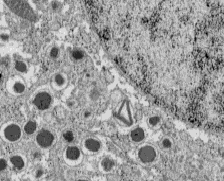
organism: C57BL Mouse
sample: Pancreatic islet